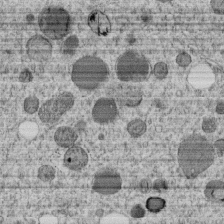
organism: C. elegans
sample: C. elegans embryo early stage